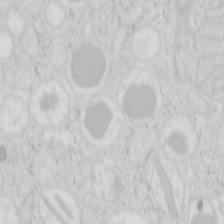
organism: Mouse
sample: Pancreas